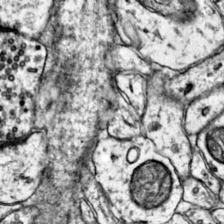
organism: Mouse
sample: Primary visual cortex